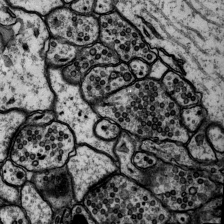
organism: Rat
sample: Hippocampus